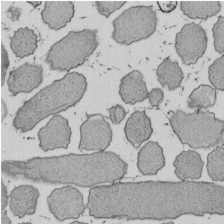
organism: E. coli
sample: Bacterial nucleoid